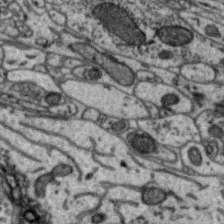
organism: Zebra finch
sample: Brain